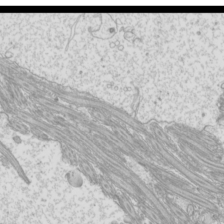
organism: Mouse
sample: Cilia; mouse epididymis